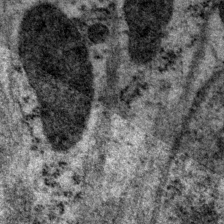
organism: P. pacificus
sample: Pharynx